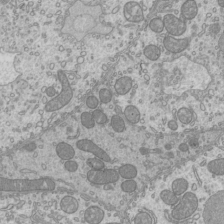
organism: Mouse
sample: Cilia; mouse epididymis